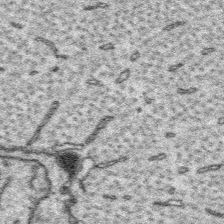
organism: Platynereis dumerilii